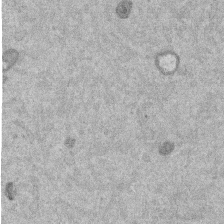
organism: Mouse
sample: Dividing mouse embryo 1 cell stage